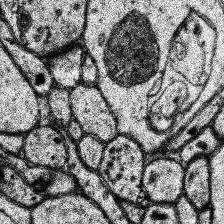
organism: Human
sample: Temporal Lobe